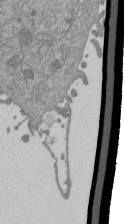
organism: Mouse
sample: ED-1 cell nuclei; centrioles